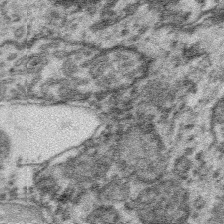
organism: Platynereis dumerilii